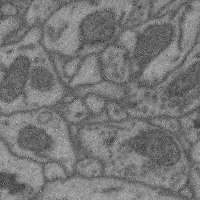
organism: Mouse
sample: Cerebral cortex